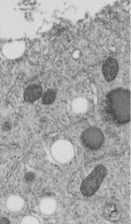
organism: C. elegans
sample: C. elegans embryo early stage